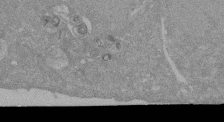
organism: Mouse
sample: ED-1 cell nuclei; centrioles